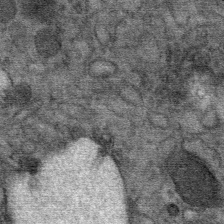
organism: Mouse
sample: Mouse Salivary gland